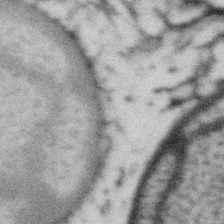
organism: Gemmata obscuriglobus